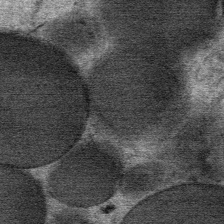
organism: Mouse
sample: Mouse Salivary gland